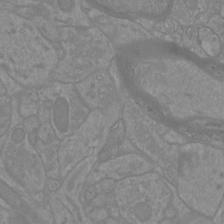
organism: Mouse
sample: Cortical neurons